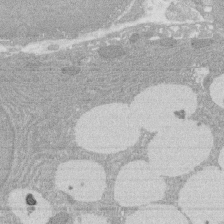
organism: Rat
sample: Salivary granule